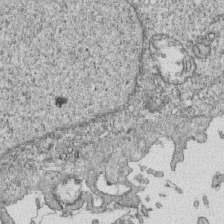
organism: Human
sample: HeLa cell HIV synapse